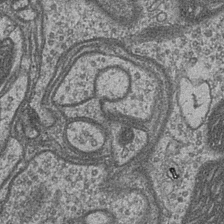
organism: Drosophila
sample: Optic medulla